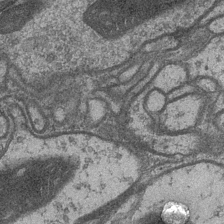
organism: Drosophila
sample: Optic medulla